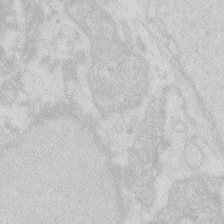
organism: Zebrafish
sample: Macrophage